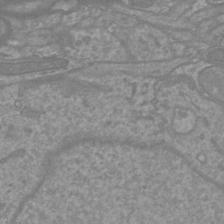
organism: Mouse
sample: Cortical neurons